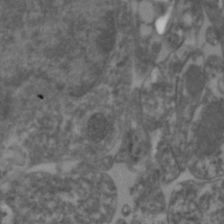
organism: Zebrafish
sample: Zebrafish embryo